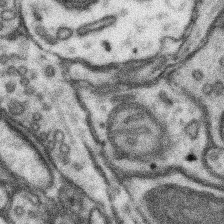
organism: Mouse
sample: Somatosensory cortex neuropil